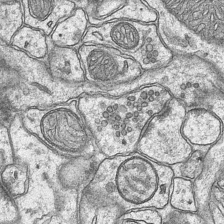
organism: Mouse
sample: CA1 Hippocampus